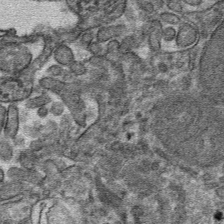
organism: Mouse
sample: Mouse hepatocytes